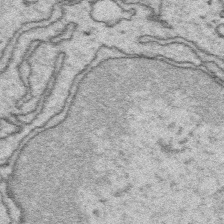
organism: Platynereis dumerilii